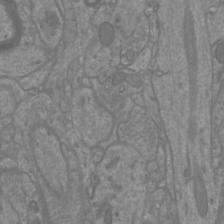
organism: Mouse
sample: Cortical neurons